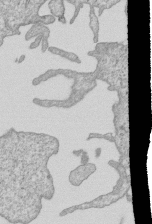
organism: Human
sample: MDA-MB-231 cells